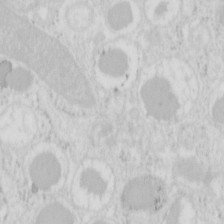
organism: Mouse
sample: Pancreas